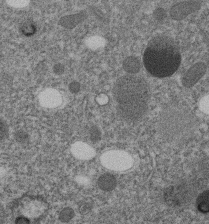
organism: C. elegans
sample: C. elegans embryo early stage